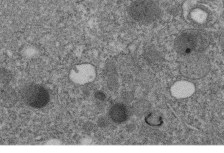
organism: C. elegans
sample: C. elegans embryo early stage